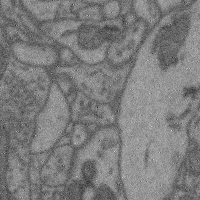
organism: Mouse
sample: Cerebral cortex